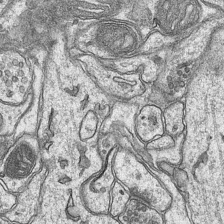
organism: Mouse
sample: CA1 Hippocampus